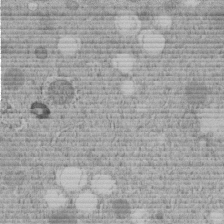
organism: C. elegans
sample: C. elegans embryo early stage